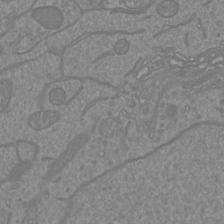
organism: Mouse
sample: Cortical neurons